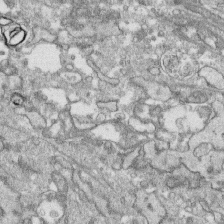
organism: Human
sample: CRL-1474